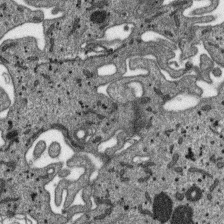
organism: Human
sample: Lung epithelial cells infected with SARS-CoV-2